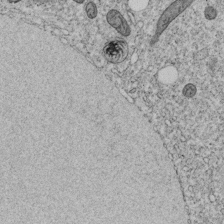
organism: C. elegans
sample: C. elegans embryo early stage